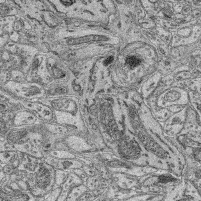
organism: Mouse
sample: Retina